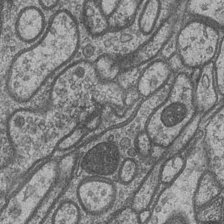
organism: Drosophila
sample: Optic medulla